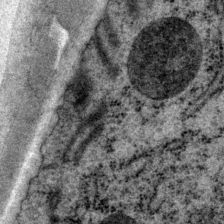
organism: P. pacificus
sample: Pharynx